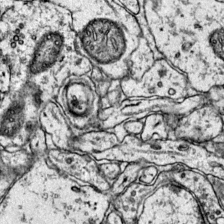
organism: Mouse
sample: Primary visual cortex